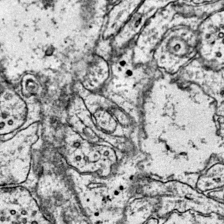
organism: Mouse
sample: Primary visual cortex